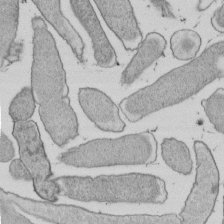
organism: E. coli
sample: Bacterial nucleoid